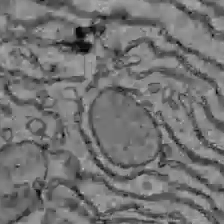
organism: C57BL Mouse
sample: Liver